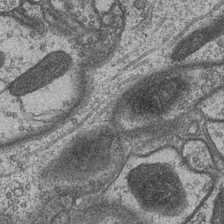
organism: Drosophila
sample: Optic medulla